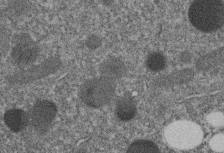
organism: C. elegans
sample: C. elegans embryo early stage